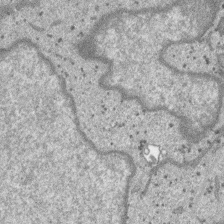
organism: Human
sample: Lung epithelial cells infected with SARS-CoV-2